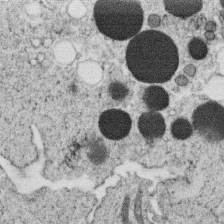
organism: C. elegans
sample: C. elegans oocyte; sperm cells